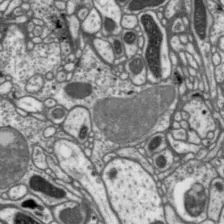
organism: Drosophila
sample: Protocerebral bridge